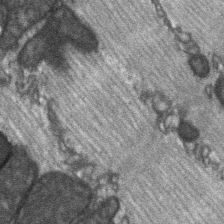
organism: C57BL Mouse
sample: Soleus